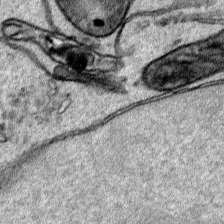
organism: Human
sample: Mitochondria in HCT116 cells